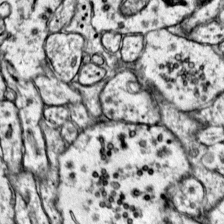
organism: Mouse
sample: Primary visual cortex